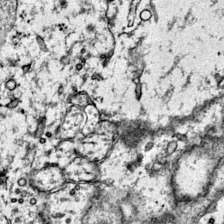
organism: Mouse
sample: Primary visual cortex